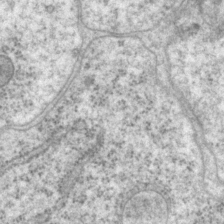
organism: P. pacificus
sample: Pharynx